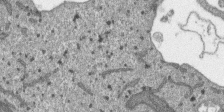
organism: Human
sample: Lung epithelial cells infected with SARS-CoV-2